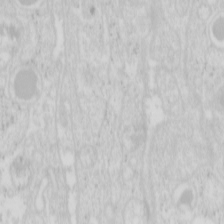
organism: Mouse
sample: Pancreas